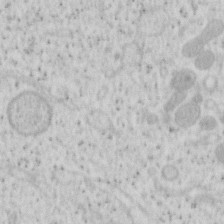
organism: Human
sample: HeLa cells